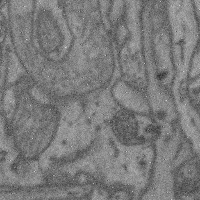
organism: Mouse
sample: Cerebral cortex